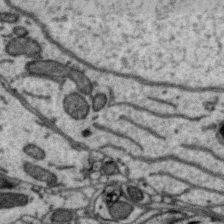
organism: Zebra finch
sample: Brain